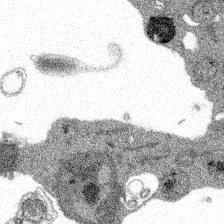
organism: Spongilla lacustris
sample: Multiple